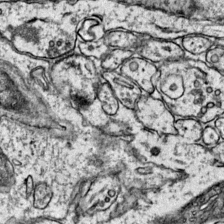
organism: Mouse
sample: Primary visual cortex